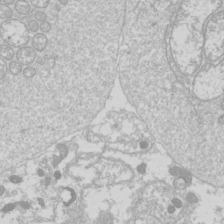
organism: Drosophila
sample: Cell division; meiosis; drosophila spermatocytes